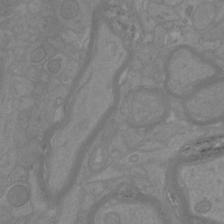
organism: Mouse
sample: Cortical neurons